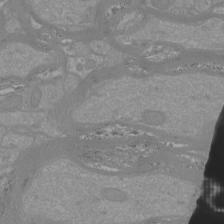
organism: Mouse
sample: Cortical neurons